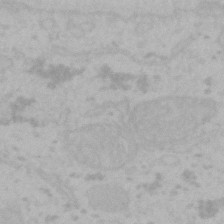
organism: Mouse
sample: Choroid plexus